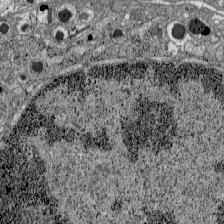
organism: C57BL Mouse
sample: Pancreatic islet